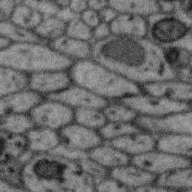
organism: Zebra finch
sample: Brain